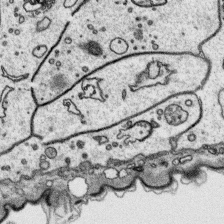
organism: Platynereis dumerilii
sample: Parapodia